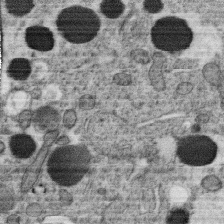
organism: C. elegans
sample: C. elegans oocyte; sperm cells